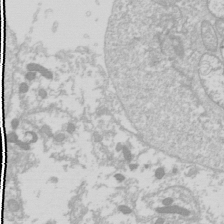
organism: Drosophila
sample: Cell division; meiosis; drosophila spermatocytes